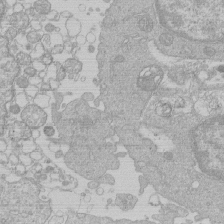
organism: Human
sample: Macrophage cells